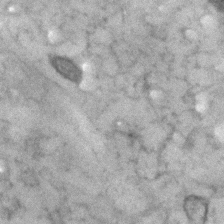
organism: Human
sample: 1205lu cells